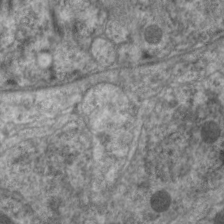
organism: C. elegans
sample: Pharynx